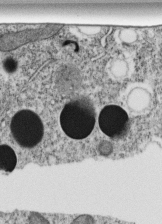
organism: C. elegans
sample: C. elegans embryo early stage